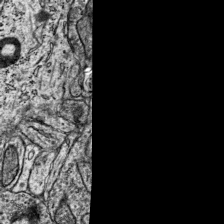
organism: Mouse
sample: Visual Cortex